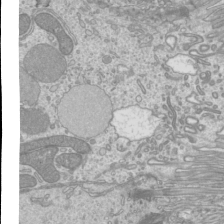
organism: Mouse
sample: Cilia; mouse epididymis